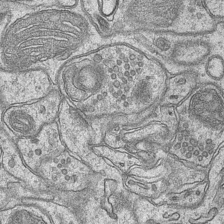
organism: Mouse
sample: CA1 Hippocampus